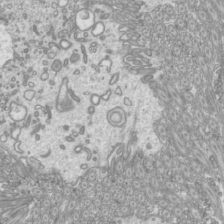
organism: Mouse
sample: Cilia; mouse epididymis